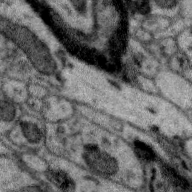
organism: Zebra finch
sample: Brain